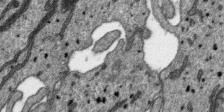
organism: Human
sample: Lung epithelial cells, uninfected (mock) control